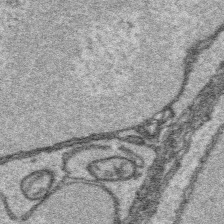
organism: Platynereis dumerilii